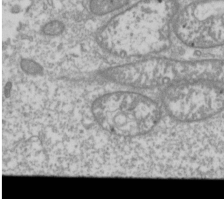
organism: Drosophila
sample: Cell division; meiosis; drosophila spermatocytes